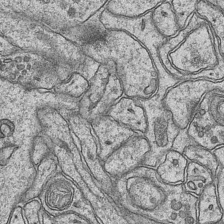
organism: Mouse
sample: CA1 Hippocampus